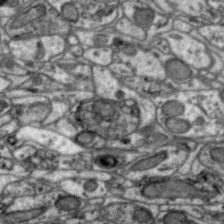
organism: Zebra finch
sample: Brain